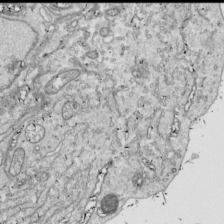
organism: Drosophila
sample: Cell division; meiosis; drosophila spermatocytes